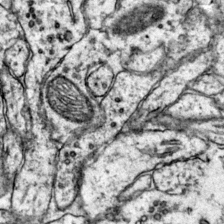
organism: Mouse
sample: Primary visual cortex